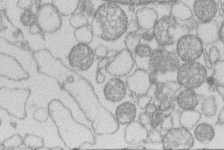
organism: Human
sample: Macrophage cells